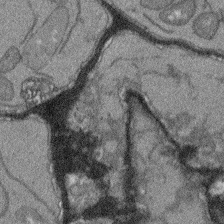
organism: Arabidopsis thaliana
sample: Root tip